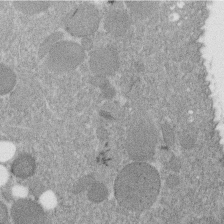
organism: C. elegans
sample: C. elegans embryo early stage